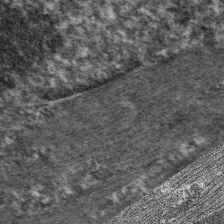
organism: C. elegans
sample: Pharynx